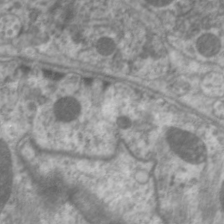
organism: C. elegans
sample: Pharynx